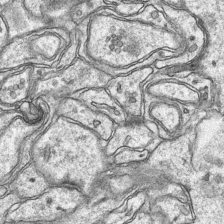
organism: Mouse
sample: CA1 Hippocampus